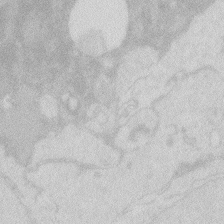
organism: Zebrafish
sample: Macrophage